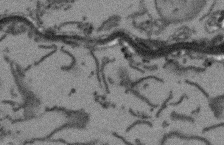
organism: Arabidopsis thaliana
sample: Root tip